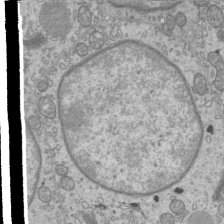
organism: Mouse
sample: Cilia; mouse epididymis